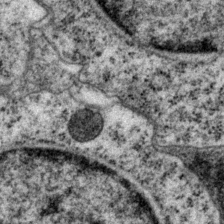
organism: P. pacificus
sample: Pharynx